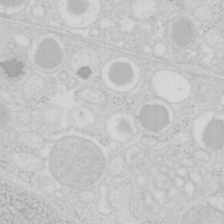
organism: Mouse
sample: Pancreas